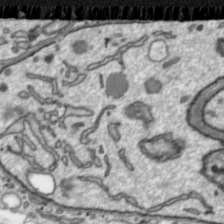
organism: Toxoplasma gondii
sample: Parasites in a vacuole inside a host cell